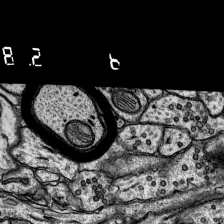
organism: Rat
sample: Hippocampus